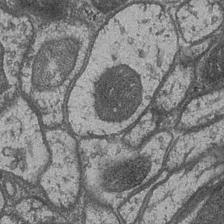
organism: Drosophila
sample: Optic medulla